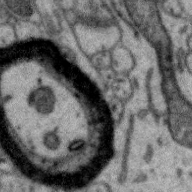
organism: Zebra finch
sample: Brain